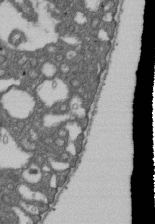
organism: Drosophila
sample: Nephrocyte